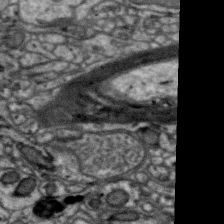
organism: Zebra finch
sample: Brain